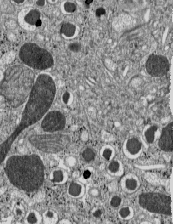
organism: C57BL Mouse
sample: Pancreatic islet